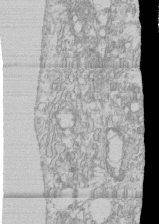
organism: Human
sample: CRL-1474